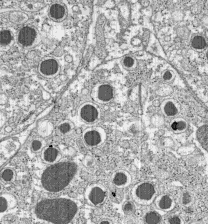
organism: C57BL Mouse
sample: Pancreatic islet